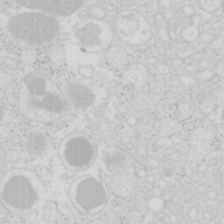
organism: Mouse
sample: Pancreas